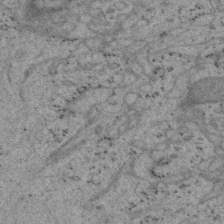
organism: Human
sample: HeLa cells